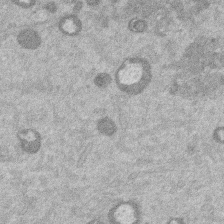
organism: Mouse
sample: Dividing mouse embryo 1 cell stage